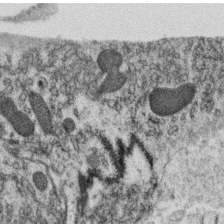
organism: C. elegans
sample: C. elegans oocyte; sperm cells